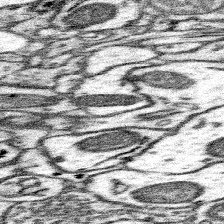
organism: Mouse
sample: Somatosensory cortex neuropil